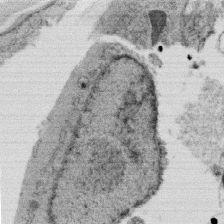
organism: C. elegans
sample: C. elegans oocyte; sperm cells